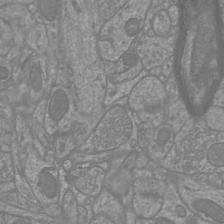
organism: Mouse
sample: Cortical neurons